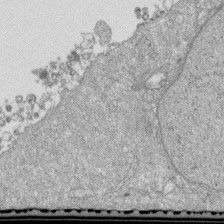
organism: Human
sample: HeLa cell HIV synapse